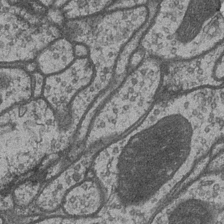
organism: Drosophila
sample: Optic medulla